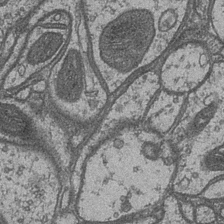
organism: Drosophila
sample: Optic medulla